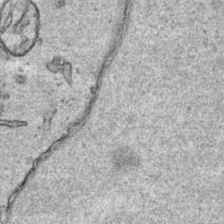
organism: Human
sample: Mitochondria in HCT116 cells